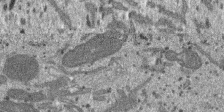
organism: Human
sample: Lung epithelial cells infected with SARS-CoV-2